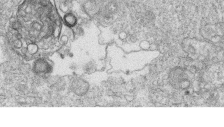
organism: Human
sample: HeLa cell HIV synapse